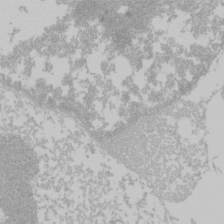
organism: Mouse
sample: Cancer cell death in ED-1 cells